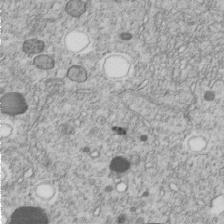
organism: C. elegans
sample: C. elegans embryo early stage